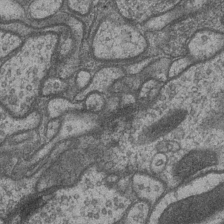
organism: Drosophila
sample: Optic medulla